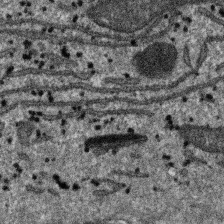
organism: Human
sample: Lung epithelial cells infected with SARS-CoV-2